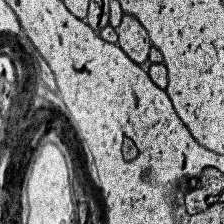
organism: Human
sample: Temporal Lobe